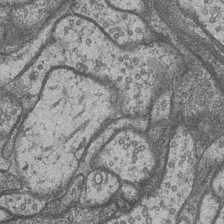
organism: Drosophila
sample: Optic medulla